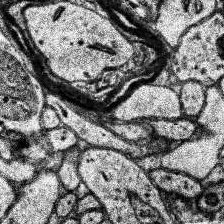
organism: Human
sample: Temporal Lobe